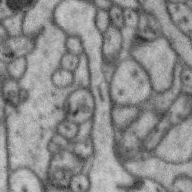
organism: Zebra finch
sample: Brain